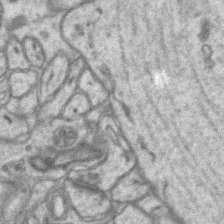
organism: Mouse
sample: CA1 Hippocampus